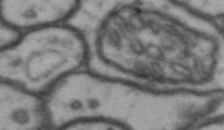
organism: Drosophila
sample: Brain